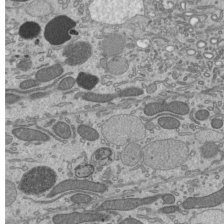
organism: Mouse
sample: Mouse epididymis efferent ductule cilia